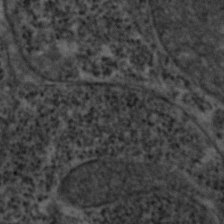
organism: Zebrafish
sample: Zebrafish embryo